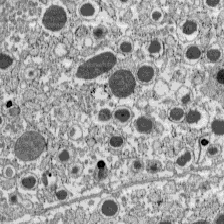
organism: C57BL Mouse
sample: Pancreatic islet